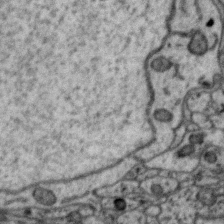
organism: Zebra finch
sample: Brain